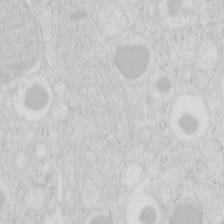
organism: Mouse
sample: Pancreas